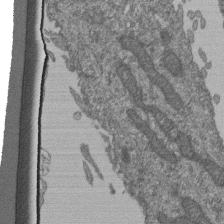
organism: Human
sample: Retinal organoid Rod and Cone cells